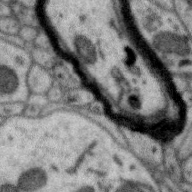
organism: Zebra finch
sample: Brain